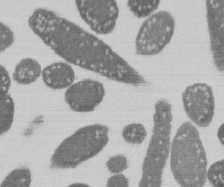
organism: E. coli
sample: Bacterial nucleoid